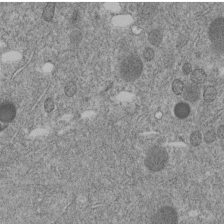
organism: C. elegans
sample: C. elegans embryo early stage